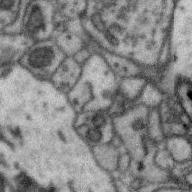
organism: Zebra finch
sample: Brain